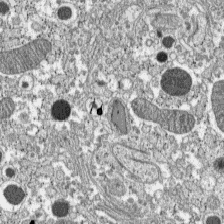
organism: C57BL Mouse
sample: Pancreatic islet